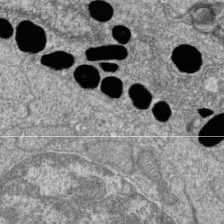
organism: Zebrafish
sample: Cilia; retinal pigment epithelium